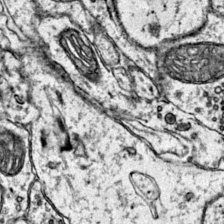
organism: Mouse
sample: Primary visual cortex